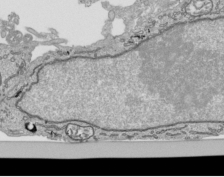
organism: Human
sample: Mitochondria in HCT116 cells